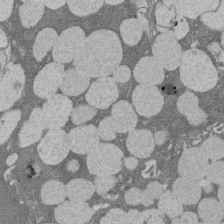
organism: Rat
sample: Salivary granule